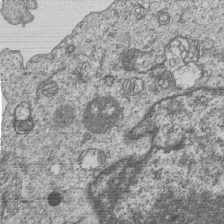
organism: Human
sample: MDA-MB-231 cells